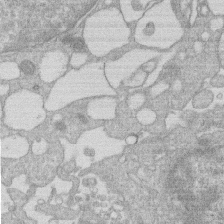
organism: Human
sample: Macrophage cells